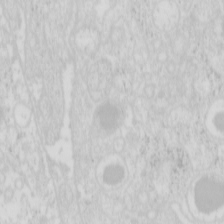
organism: Mouse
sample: Pancreas